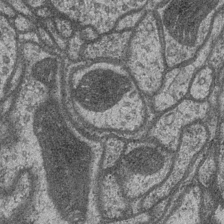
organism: Drosophila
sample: Optic medulla